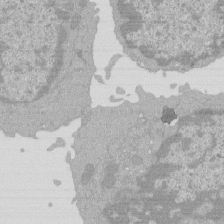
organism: Mouse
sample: Activated Pmel transgenic CD8+ T Cells